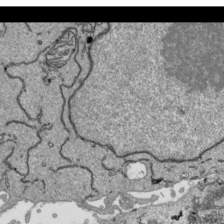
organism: Human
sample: Mitochondria in HCT116 cells